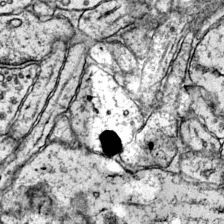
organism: Mouse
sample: Primary visual cortex